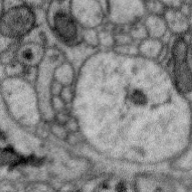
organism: Zebra finch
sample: Brain